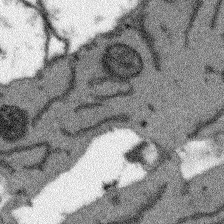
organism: Arabidopsis thaliana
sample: Root tip